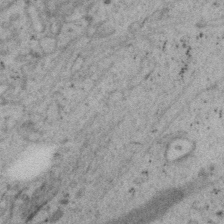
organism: Human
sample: HeLa cells